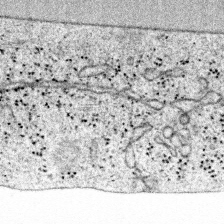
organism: Human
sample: HeLa cells